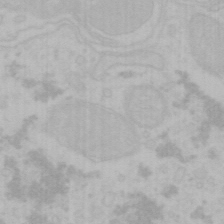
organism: Mouse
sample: Choroid plexus